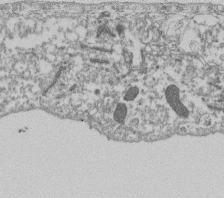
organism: Dictyostelium discoideum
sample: Dictyostelium multivesicular bodies